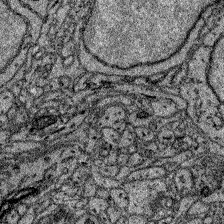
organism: Zebrafish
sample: Larval olfactory bulb